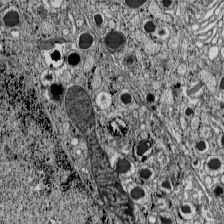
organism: C57BL Mouse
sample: Pancreatic islet